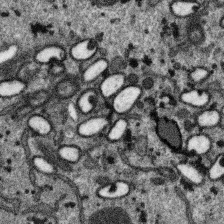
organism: Human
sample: Lung epithelial cells infected with SARS-CoV-2